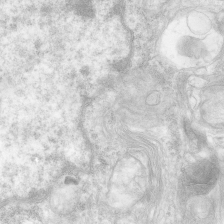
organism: Human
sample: Neocortex